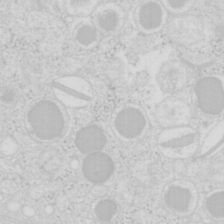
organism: Mouse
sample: Pancreas